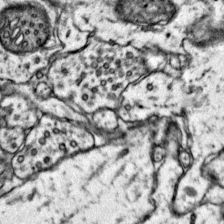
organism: Mouse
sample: Primary visual cortex